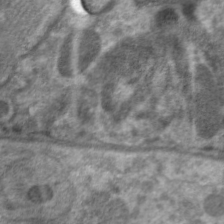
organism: C. elegans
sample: Pharynx